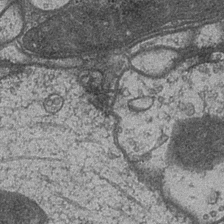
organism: Drosophila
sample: Optic medulla